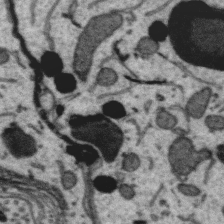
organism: Zebra finch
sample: Brain